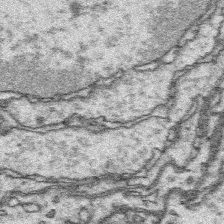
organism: Platynereis dumerilii